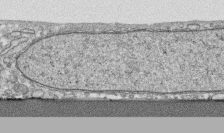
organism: Human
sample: CRL-1474